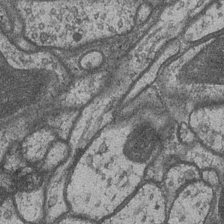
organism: Drosophila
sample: Optic medulla